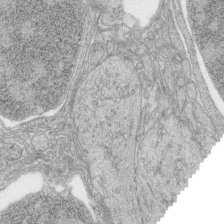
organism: Zebrafish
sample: synaptic ribbons in rod cells and cone cells